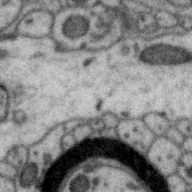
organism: Zebra finch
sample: Brain